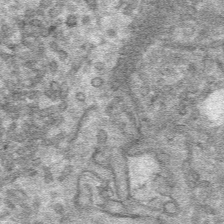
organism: Mouse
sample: Mouse hepatocytes